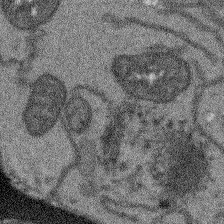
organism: Arabidopsis thaliana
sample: Root tip